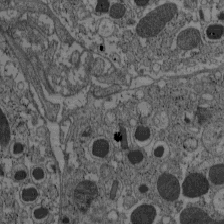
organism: C57BL Mouse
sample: Pancreatic islet